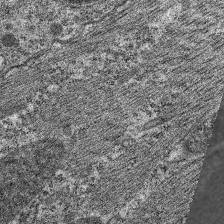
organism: C. elegans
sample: Pharynx